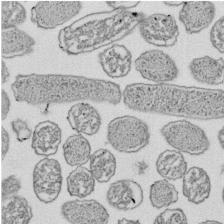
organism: E. coli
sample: Bacterial nucleoid